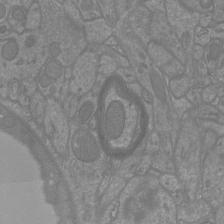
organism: Mouse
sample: Cortical neurons